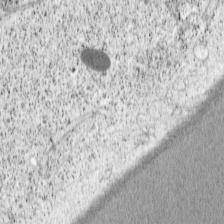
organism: African green monkey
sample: COS-7 cells